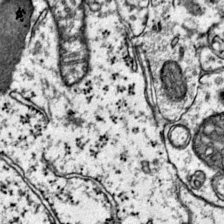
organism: Mouse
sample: Primary visual cortex